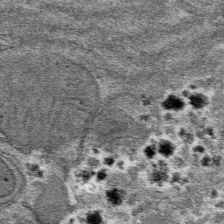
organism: Mouse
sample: Mouse hepatocytes